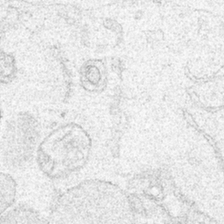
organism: Human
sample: Mitochondria in HCT116 cells